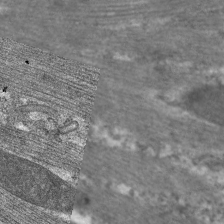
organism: C. elegans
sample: Pharynx